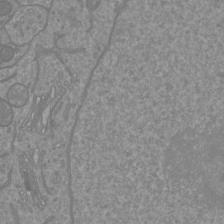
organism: Mouse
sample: Cortical neurons